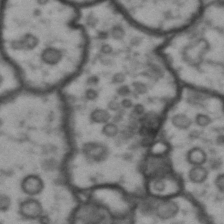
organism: Drosophila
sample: Brain